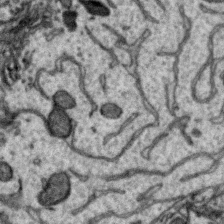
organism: Zebra finch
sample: Brain